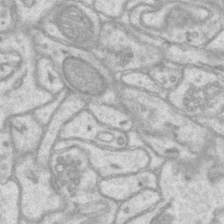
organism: Mouse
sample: CA1 Hippocampus